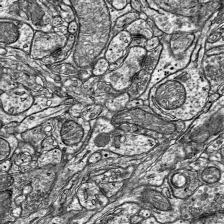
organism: Mouse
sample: Visual Cortex